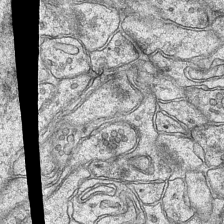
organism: Mouse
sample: CA1 Hippocampus